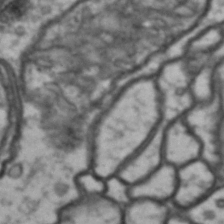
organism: Drosophila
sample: Brain